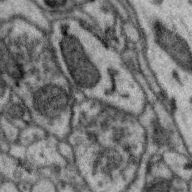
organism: Zebra finch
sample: Brain